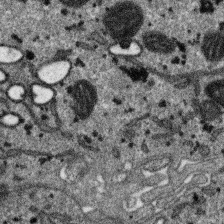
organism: Human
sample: Lung epithelial cells infected with SARS-CoV-2